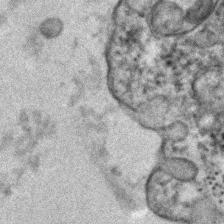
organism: Human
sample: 1205lu cells